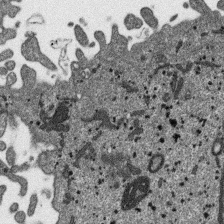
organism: Human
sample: Lung epithelial cells infected with SARS-CoV-2